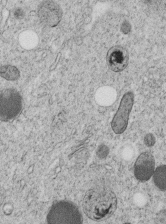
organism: C. elegans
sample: C. elegans embryo early stage